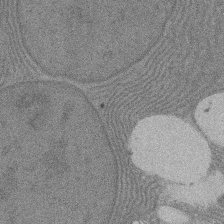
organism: Rat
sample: Salivary granule